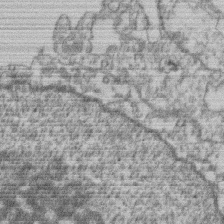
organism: Mouse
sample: T cell stromal cell synapse